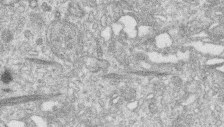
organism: Human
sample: HeLa cell HIV synapse